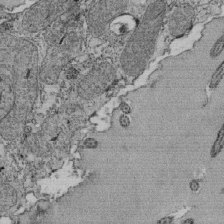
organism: Tetrahymena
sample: Cilia in tetrahymena